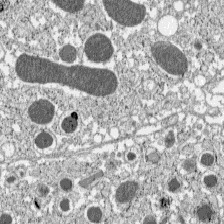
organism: C57BL Mouse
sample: Pancreatic islet